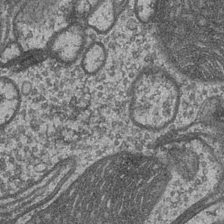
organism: Drosophila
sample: Optic medulla